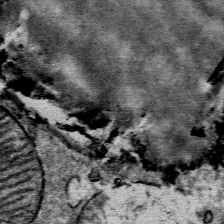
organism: Mouse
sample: Mouse Salivary gland